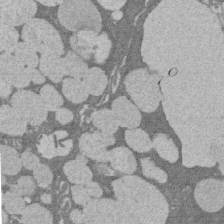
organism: Rat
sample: Salivary granule